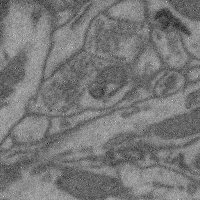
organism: Mouse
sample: Cerebral cortex